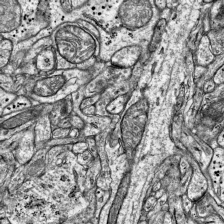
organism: Mouse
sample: Visual Cortex